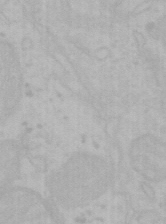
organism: Mouse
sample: Choroid plexus